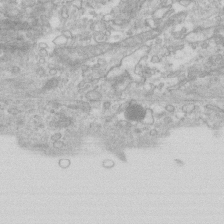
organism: Human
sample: Fibroblast cells